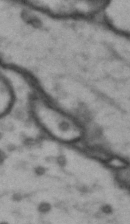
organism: Drosophila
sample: Brain